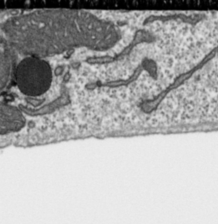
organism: Toxoplasma gondii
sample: Parasites in a vacuole inside a host cell